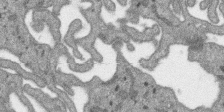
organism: Human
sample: Lung epithelial cells infected with SARS-CoV-2